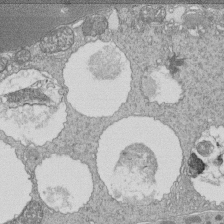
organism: Tetrahymena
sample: Cilia in tetrahymena